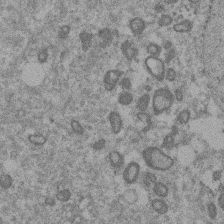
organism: Mouse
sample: Dividing mouse embryo 1 cell stage